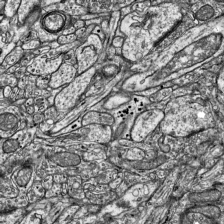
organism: Mouse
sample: Visual Cortex